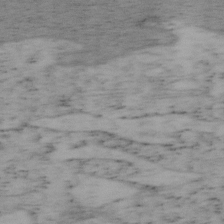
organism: Mouse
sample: OT-I killer T cells with ID8 ovarian cancer cells